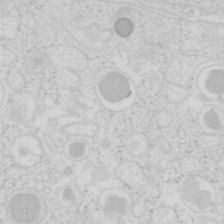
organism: Mouse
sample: Pancreas